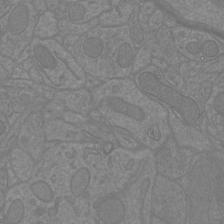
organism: Mouse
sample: Cortical neurons